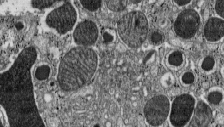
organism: C57BL Mouse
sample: Pancreatic islet